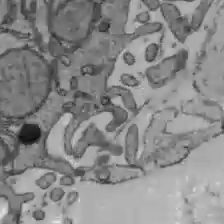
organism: C57BL Mouse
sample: Liver